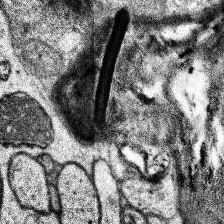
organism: Human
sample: Temporal Lobe